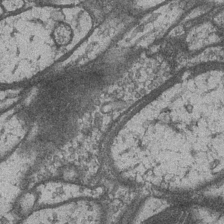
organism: Drosophila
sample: Optic medulla